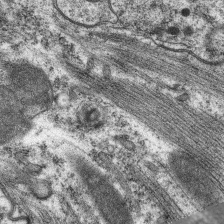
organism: C. elegans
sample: Pharynx